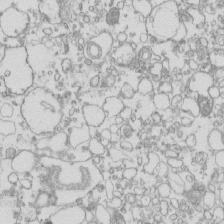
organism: Mouse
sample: Macrophages